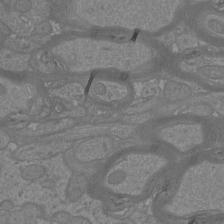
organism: Mouse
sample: Cortical neurons